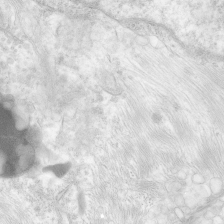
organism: Human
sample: Neocortex